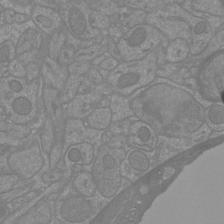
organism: Mouse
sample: Cortical neurons